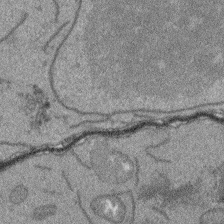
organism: Arabidopsis thaliana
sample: Root tip